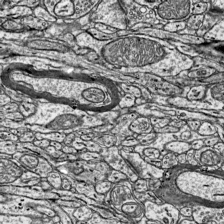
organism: Mouse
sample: Visual Cortex